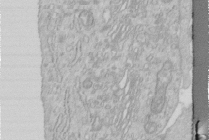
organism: Human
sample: Centriole in RPE cells